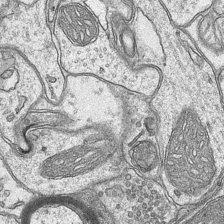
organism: Mouse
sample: CA1 Hippocampus